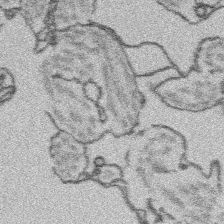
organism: Platynereis dumerilii